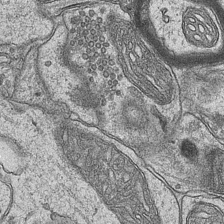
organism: Mouse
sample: CA1 Hippocampus